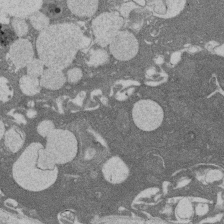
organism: Rat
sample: Salivary granule